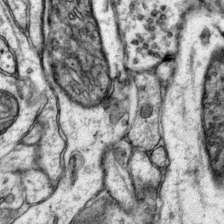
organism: Mouse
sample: Primary visual cortex